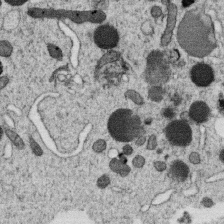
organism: C. elegans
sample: C. elegans oocyte; sperm cells